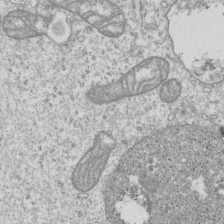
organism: Human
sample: MDA-MB-231 cells